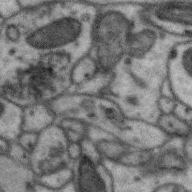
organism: Zebra finch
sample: Brain